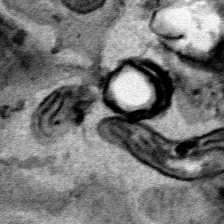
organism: Human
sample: Mitochondria in HCT116 cells